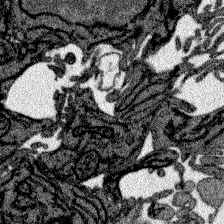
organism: Zebrafish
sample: Larval olfactory bulb